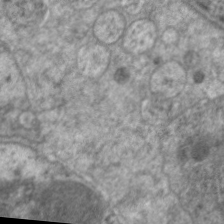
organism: C. elegans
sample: Pharynx